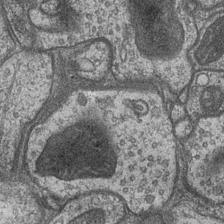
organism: Drosophila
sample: Optic medulla